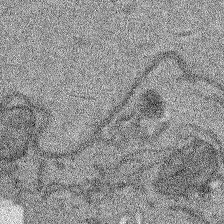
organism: Human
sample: HeLa cells